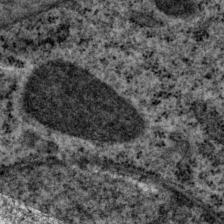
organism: P. pacificus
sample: Pharynx